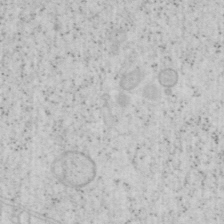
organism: Human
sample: HeLa cells